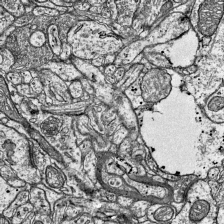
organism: Mouse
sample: Visual Cortex